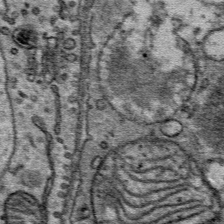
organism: Mouse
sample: Mouse Salivary gland